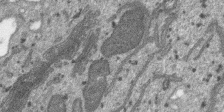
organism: Human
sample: Lung epithelial cells infected with SARS-CoV-2